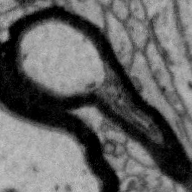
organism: Zebra finch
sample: Brain